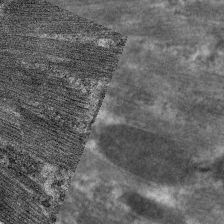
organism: C. elegans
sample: Pharynx